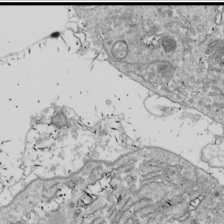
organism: Drosophila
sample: Cell division; meiosis; drosophila spermatocytes